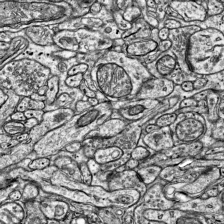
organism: Mouse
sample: Visual Cortex